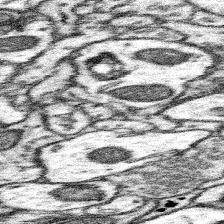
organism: Mouse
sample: Somatosensory cortex neuropil